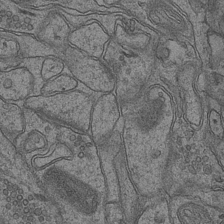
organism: Mouse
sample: CA1 Hippocampus